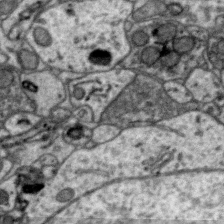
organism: Zebra finch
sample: Brain